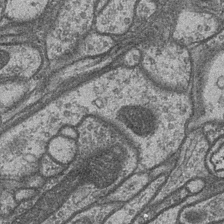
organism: Drosophila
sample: Optic medulla